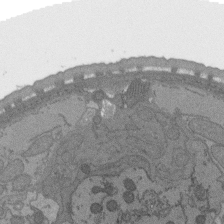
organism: C. elegans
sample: AFD neurons C. elegans